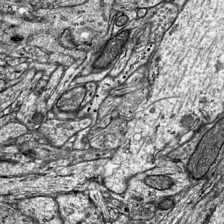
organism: Mouse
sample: Visual Cortex